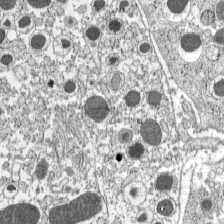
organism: C57BL Mouse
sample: Pancreatic islet